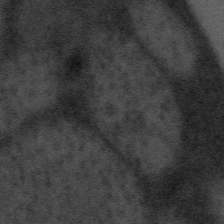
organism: Tuwongella immobilis